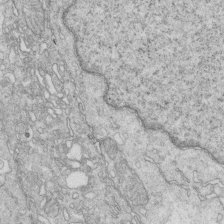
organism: Mouse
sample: Multiciliated cells